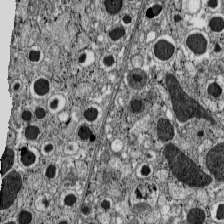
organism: C57BL Mouse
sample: Pancreatic islet